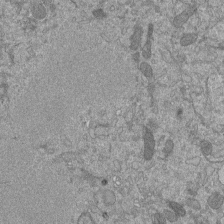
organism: Mouse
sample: ED-1 cell nuclei; centrioles